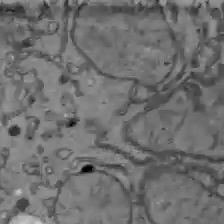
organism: C57BL Mouse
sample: Liver